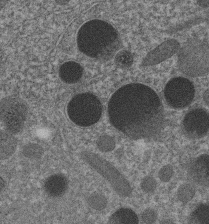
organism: C. elegans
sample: C. elegans embryo early stage